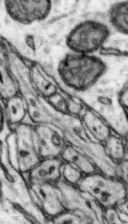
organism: Mouse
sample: Nucleus accumbens